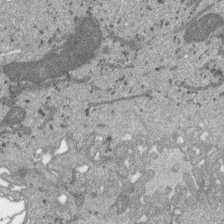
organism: Human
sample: Lung epithelial cells infected with SARS-CoV-2